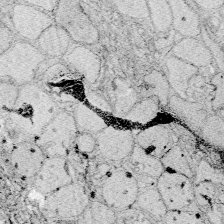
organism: Zebrafish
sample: Whole-Brain